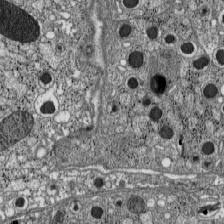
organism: C57BL Mouse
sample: Pancreatic islet